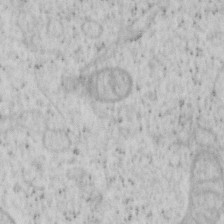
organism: Human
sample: HeLa cells